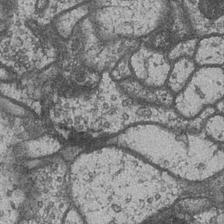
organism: Drosophila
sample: Optic medulla